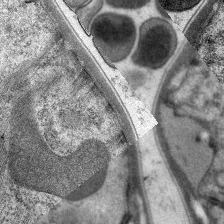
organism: C. elegans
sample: Pharynx